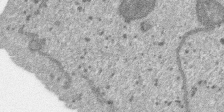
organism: Human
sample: Lung epithelial cells infected with SARS-CoV-2